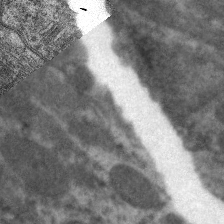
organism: C. elegans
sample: Pharynx